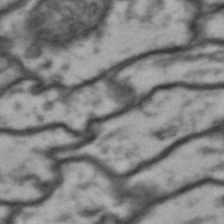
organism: Drosophila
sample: Brain